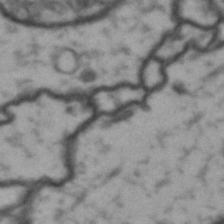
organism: Drosophila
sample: Brain